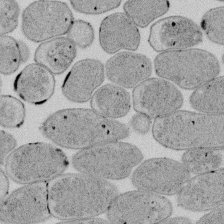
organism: E. coli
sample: Bacterial nucleoid